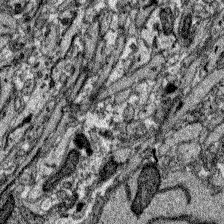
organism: Zebrafish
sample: Larval olfactory bulb